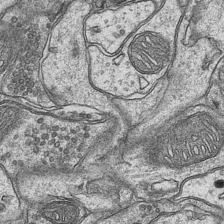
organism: Mouse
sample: CA1 Hippocampus